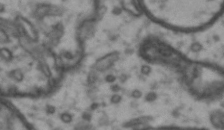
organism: Drosophila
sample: Brain